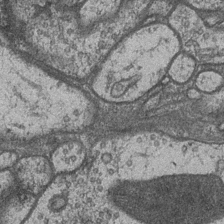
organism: Drosophila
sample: Optic medulla